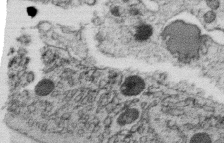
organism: C. elegans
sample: C. elegans oocyte; sperm cells